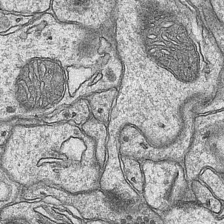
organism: Mouse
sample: CA1 Hippocampus